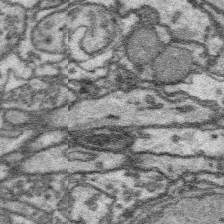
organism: Platynereis dumerilii